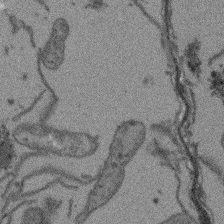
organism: Arabidopsis thaliana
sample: Root tip